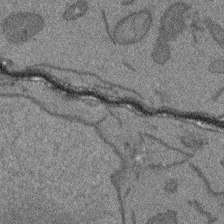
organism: Arabidopsis thaliana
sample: Root tip